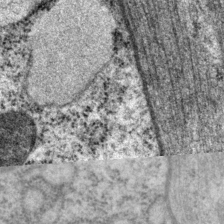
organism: P. pacificus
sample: Pharynx